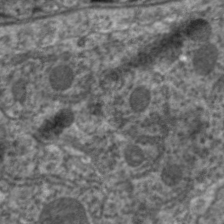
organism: C. elegans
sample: Pharynx